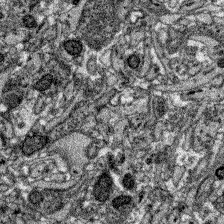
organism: Zebrafish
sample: Larval olfactory bulb